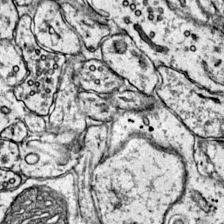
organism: Mouse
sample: Primary visual cortex